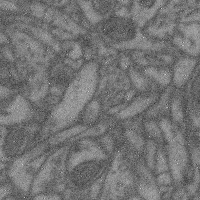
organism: Mouse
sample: Cerebral cortex